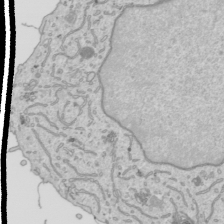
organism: Human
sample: Mitochondria in HCT116 cells